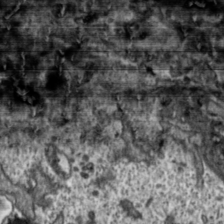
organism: Toxoplasma gondii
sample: Parasites in a vacuole inside a host cell